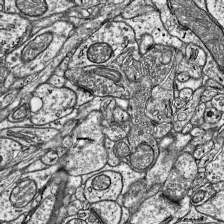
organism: Mouse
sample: Visual Cortex